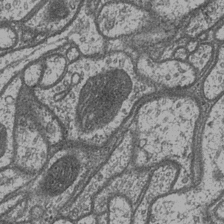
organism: Drosophila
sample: Optic medulla